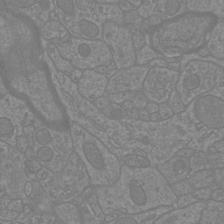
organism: Mouse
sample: Cortical neurons